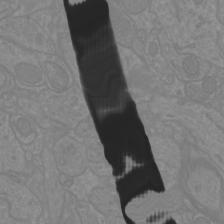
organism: Mouse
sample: Cortical neurons